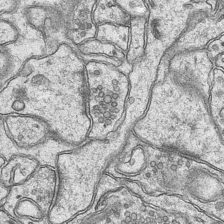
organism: Mouse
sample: CA1 Hippocampus